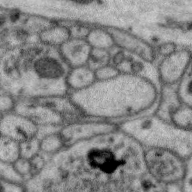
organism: Zebra finch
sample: Brain